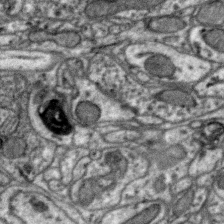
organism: Zebra finch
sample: Brain